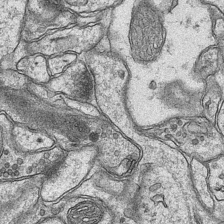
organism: Mouse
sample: CA1 Hippocampus